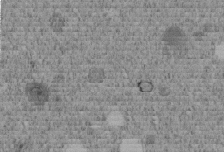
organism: C. elegans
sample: C. elegans embryo early stage